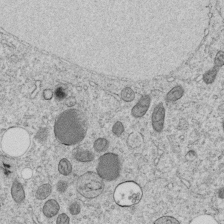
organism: C. elegans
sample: C. elegans embryo early stage